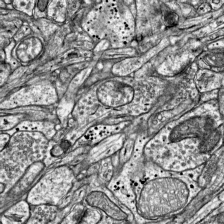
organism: Mouse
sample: Visual Cortex